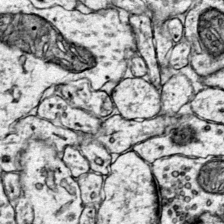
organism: Mouse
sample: Primary visual cortex